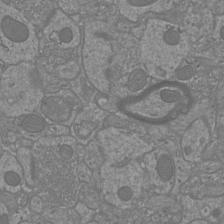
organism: Mouse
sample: Cortical neurons